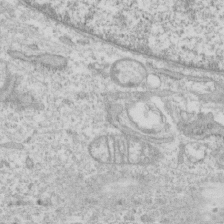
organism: Human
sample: CRL-1474